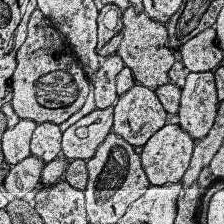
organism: Human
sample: Temporal Lobe